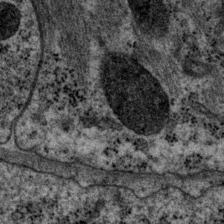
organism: P. pacificus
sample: Pharynx